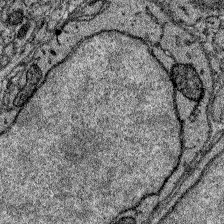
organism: Zebrafish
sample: Larval olfactory bulb